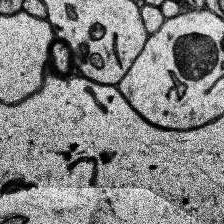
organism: Human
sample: Temporal Lobe